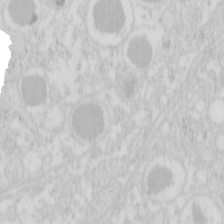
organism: Mouse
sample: Pancreas